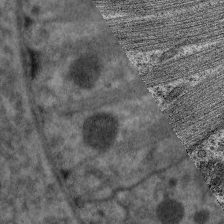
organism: C. elegans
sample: Pharynx